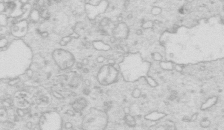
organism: Mouse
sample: Multiciliated cells